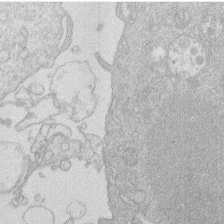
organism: Human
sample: Macrophage cells